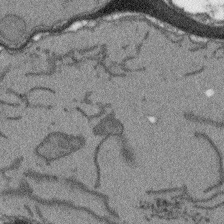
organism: Arabidopsis thaliana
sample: Root tip